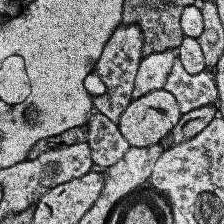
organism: Human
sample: Temporal Lobe